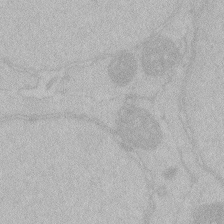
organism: Zebrafish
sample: Macrophage infected with Toxoplasma gondii